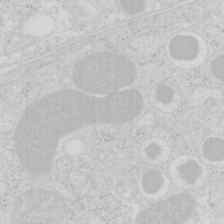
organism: Mouse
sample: Pancreas